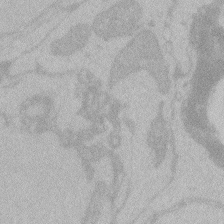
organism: Zebrafish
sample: Macrophage infected with Toxoplasma gondii